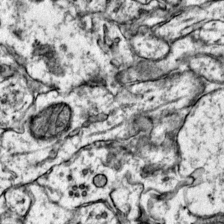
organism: Mouse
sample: Primary visual cortex